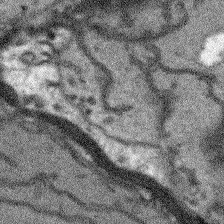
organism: Arabidopsis thaliana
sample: Root tip